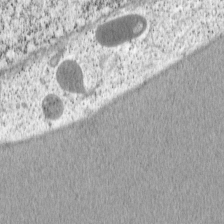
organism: African green monkey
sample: COS-7 cells